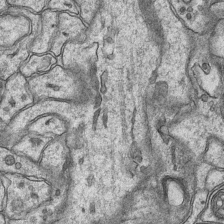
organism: Mouse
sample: CA1 Hippocampus